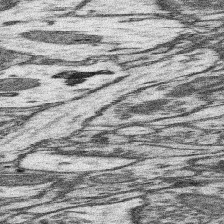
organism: Mouse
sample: Somatosensory cortex neuropil